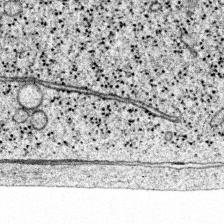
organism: Human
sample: HeLa cells